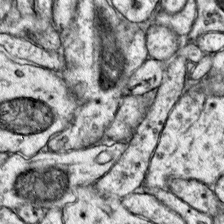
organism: Mouse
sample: Primary visual cortex